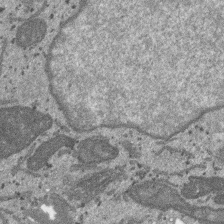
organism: Human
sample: Lung epithelial cells infected with SARS-CoV-2